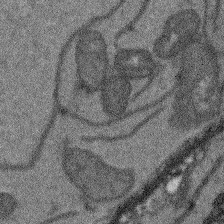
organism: Arabidopsis thaliana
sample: Root tip